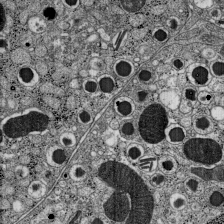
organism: C57BL Mouse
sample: Pancreatic islet